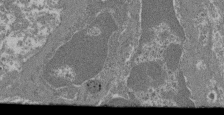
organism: Mouse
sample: Glomerulus